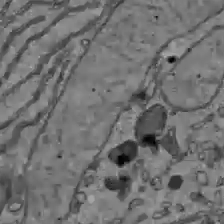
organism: C57BL Mouse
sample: Liver